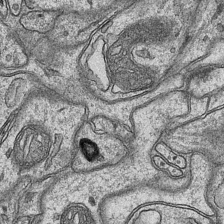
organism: Mouse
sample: CA1 Hippocampus